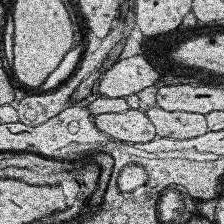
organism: Human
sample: Temporal Lobe